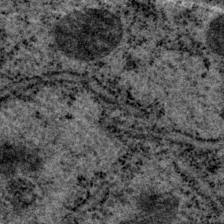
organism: P. pacificus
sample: Pharynx